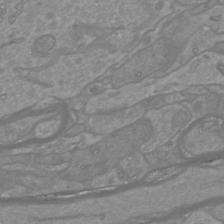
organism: Mouse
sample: Cortical neurons